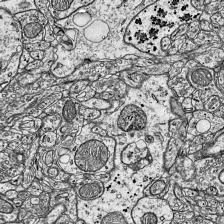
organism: Mouse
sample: Visual Cortex